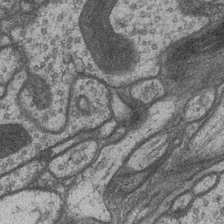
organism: Drosophila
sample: Optic medulla